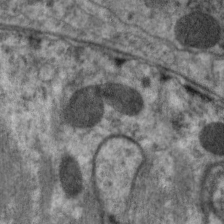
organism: C. elegans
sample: Pharynx